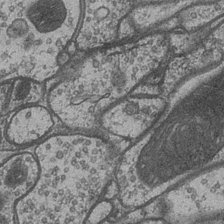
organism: Drosophila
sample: Optic medulla